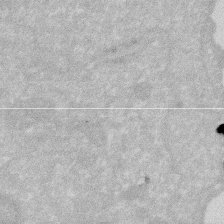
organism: Human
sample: HIV infected U937 cells